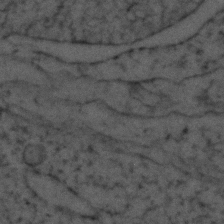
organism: Zebrafish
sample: Zebrafish embryo